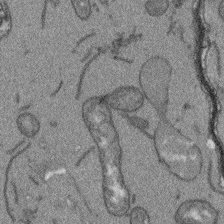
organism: Arabidopsis thaliana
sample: Root tip